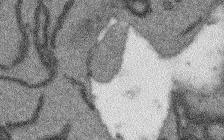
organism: Arabidopsis thaliana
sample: Root tip